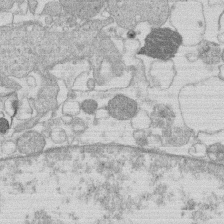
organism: Human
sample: Macrophage cells